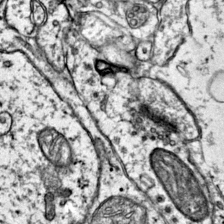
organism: Mouse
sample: Primary visual cortex